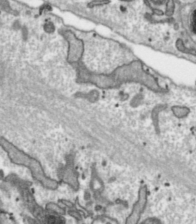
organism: Toxoplasma gondii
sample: Parasites in a vacuole inside a host cell